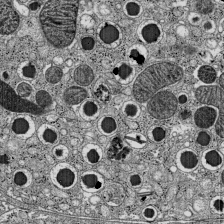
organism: C57BL Mouse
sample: Pancreatic islet